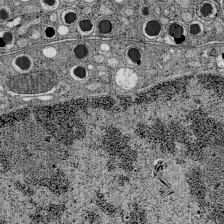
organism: C57BL Mouse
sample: Pancreatic islet